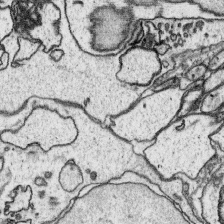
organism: Platynereis dumerilii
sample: Parapodia